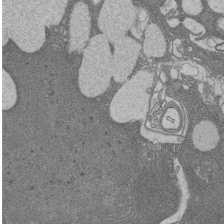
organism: Rat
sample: Salivary granule